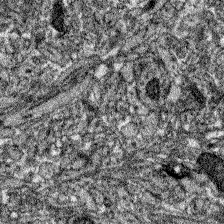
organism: Zebrafish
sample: Larval olfactory bulb